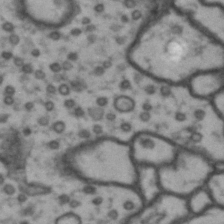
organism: Drosophila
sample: Brain